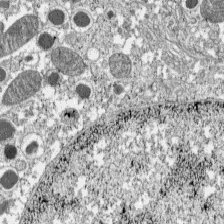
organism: C57BL Mouse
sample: Pancreatic islet